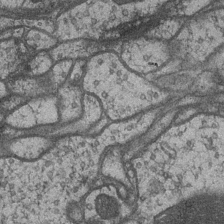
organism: Drosophila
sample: Optic medulla